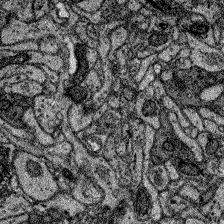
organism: Zebrafish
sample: Larval olfactory bulb